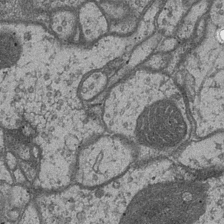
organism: Drosophila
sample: Optic medulla